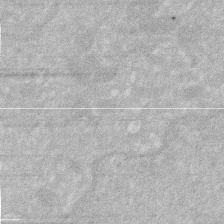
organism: Human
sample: HIV infected U937 cells